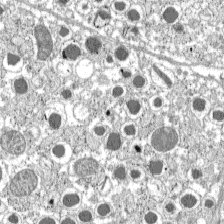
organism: C57BL Mouse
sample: Pancreatic islet